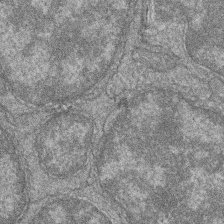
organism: Zebrafish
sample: Cilia; retinal pigment epithelium